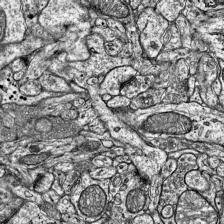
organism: Mouse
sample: Visual Cortex